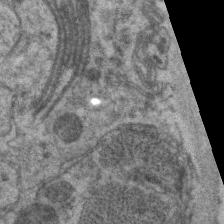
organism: C. elegans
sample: Pharynx